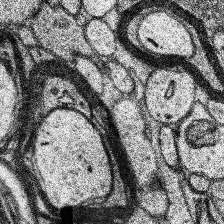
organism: Human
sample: Temporal Lobe